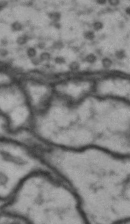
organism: Drosophila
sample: Brain